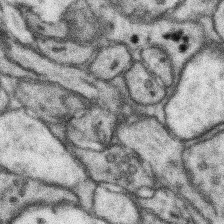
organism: Mouse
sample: Somatosensory cortex neuropil